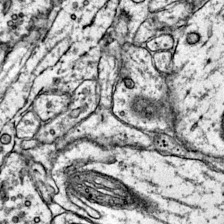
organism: Mouse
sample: Primary visual cortex